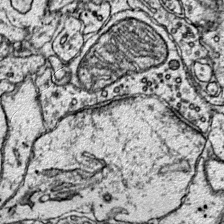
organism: Mouse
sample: Primary visual cortex